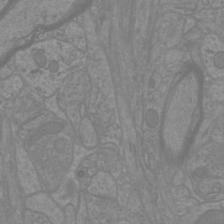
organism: Mouse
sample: Cortical neurons